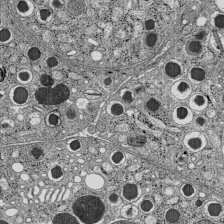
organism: C57BL Mouse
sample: Pancreatic islet